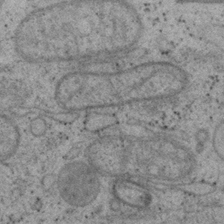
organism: Human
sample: HeLa cells